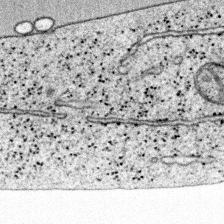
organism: Human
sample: HeLa cells